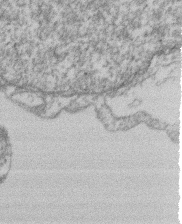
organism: Mouse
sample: T cell stromal cell synapse